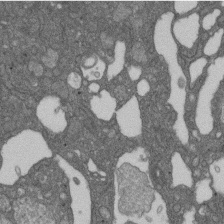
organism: Drosophila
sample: Nephrocyte